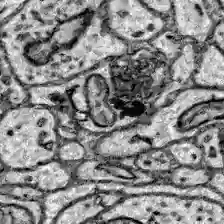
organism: Zebrafish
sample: Brain